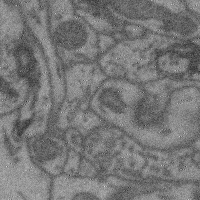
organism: Mouse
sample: Cerebral cortex